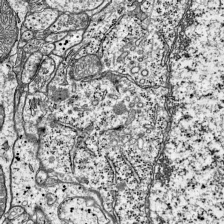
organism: Mouse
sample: Visual Cortex